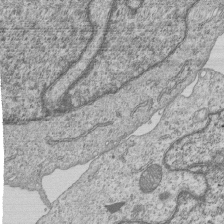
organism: Human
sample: MDA-MB-231 cells